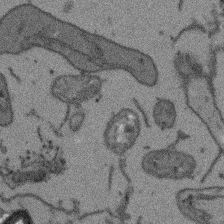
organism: Arabidopsis thaliana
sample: Root tip